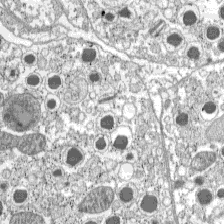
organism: C57BL Mouse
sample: Pancreatic islet